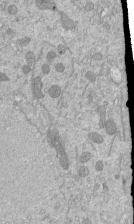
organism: Mouse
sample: ED-1 cell nuclei; centrioles